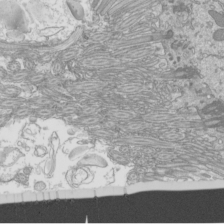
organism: Mouse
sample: Cilia; mouse epididymis